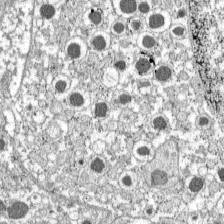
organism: C57BL Mouse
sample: Pancreatic islet